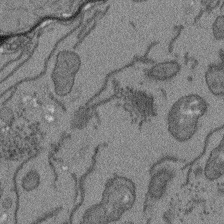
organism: Arabidopsis thaliana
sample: Root tip